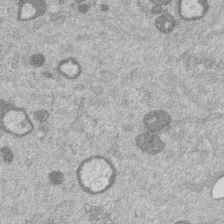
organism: Mouse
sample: Dividing mouse embryo 1 cell stage